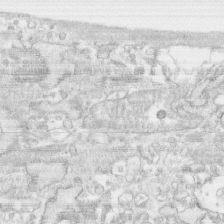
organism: Human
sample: CRL-1474